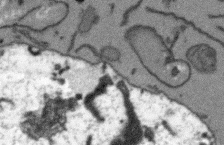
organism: Arabidopsis thaliana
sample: Root tip